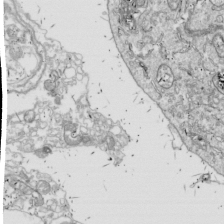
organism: Drosophila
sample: Cell division; meiosis; drosophila spermatocytes